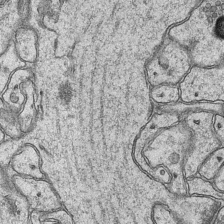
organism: Mouse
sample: CA1 Hippocampus